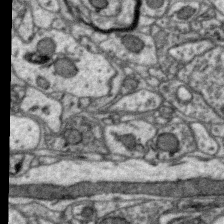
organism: Zebra finch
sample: Brain